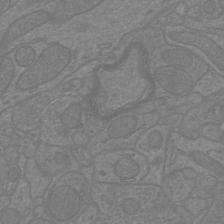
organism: Mouse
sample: Cortical neurons